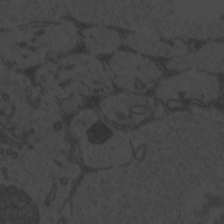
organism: Zebrafish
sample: Macrophage infected with Toxoplasma gondii